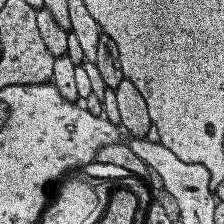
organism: Human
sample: Temporal Lobe